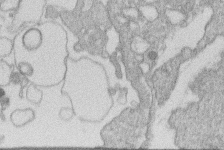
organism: Human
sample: Macrophage cells